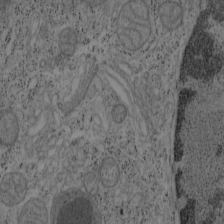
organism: Mouse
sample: OT-I killer T cells with ID8 ovarian cancer cells